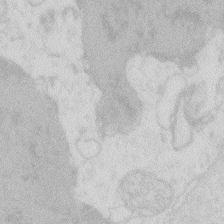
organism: Zebrafish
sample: Macrophage